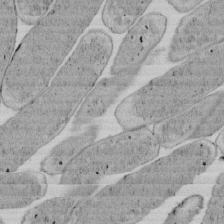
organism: E. coli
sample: Bacterial nucleoid